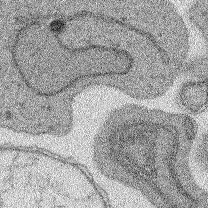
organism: Human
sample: HeLa cells